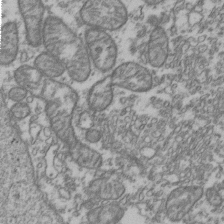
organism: Human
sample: Activated Jurkat CD4+ T cells